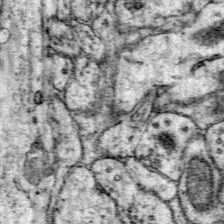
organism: Mouse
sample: Primary visual cortex